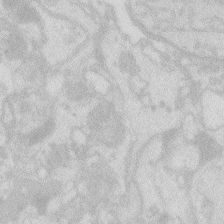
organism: Zebrafish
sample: Macrophage